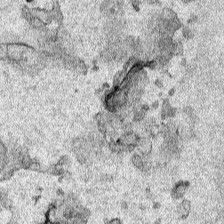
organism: Human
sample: Mitochondria in HCT116 cells